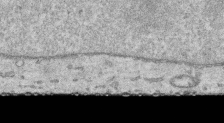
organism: Human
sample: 1205lu cells